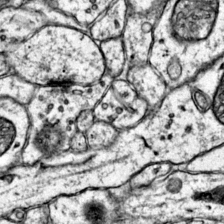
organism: Mouse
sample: Primary visual cortex